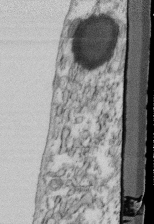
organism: Mouse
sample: Cilia; retinal pigment epithelium